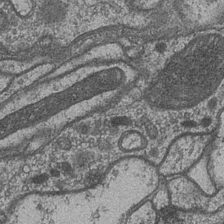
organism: Drosophila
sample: Optic medulla